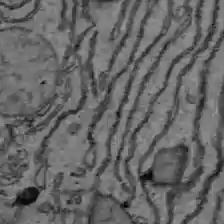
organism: C57BL Mouse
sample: Liver